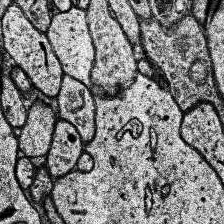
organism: Human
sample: Temporal Lobe